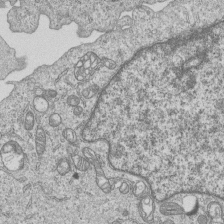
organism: Human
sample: MDA-MB-231 cells